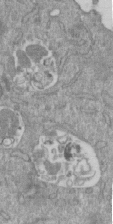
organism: Mouse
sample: ED-1 cell nuclei; centrioles